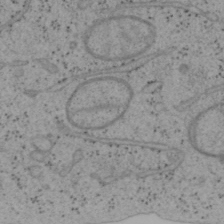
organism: Human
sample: HeLa cells